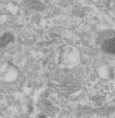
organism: Human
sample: Centriole in RPE cells